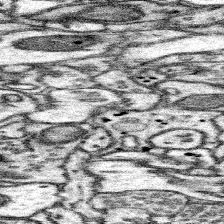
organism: Mouse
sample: Somatosensory cortex neuropil